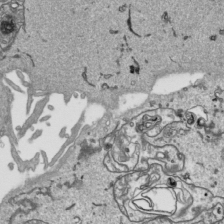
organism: Human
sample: Mitochondria in HCT116 cells